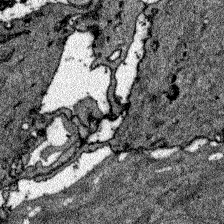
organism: Zebrafish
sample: Larval olfactory bulb